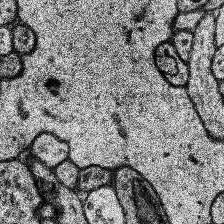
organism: Human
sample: Temporal Lobe